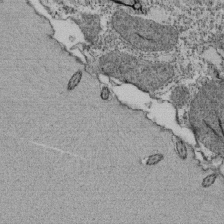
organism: Tetrahymena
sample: Cilia in tetrahymena